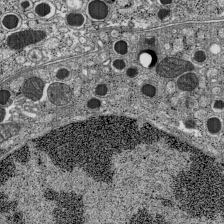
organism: C57BL Mouse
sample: Pancreatic islet